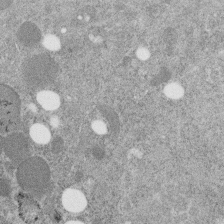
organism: C. elegans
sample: C. elegans embryo early stage